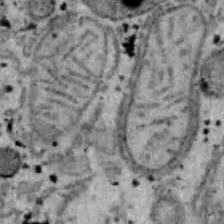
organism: Mouse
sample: Liver from an obese (ob/ob) mouse